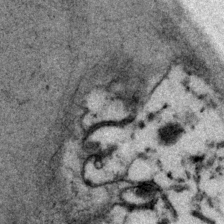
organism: P. pacificus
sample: Pharynx